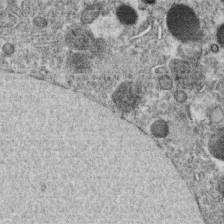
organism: C. elegans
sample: C. elegans oocyte; sperm cells